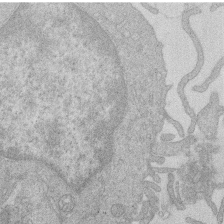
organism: Human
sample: Macrophage cells